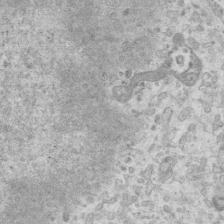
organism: Mouse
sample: Centriole in ependymal cells